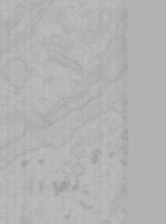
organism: Mouse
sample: Choroid plexus